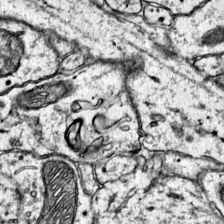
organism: Mouse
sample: Primary visual cortex